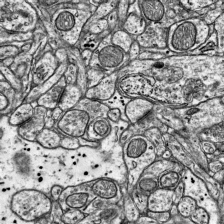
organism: Mouse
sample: Visual Cortex